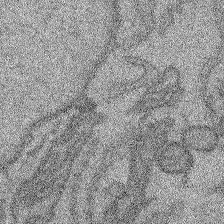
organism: Human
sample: HeLa cells